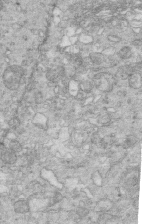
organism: Mouse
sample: Multiciliated cells